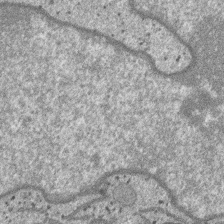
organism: Human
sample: Lung epithelial cells infected with SARS-CoV-2